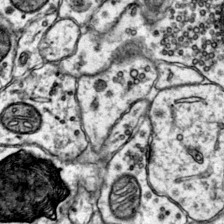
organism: Mouse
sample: Primary visual cortex